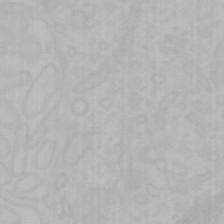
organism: Mouse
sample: Choroid plexus